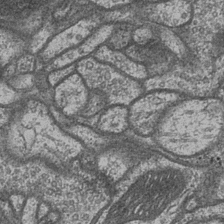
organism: Drosophila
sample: Optic medulla